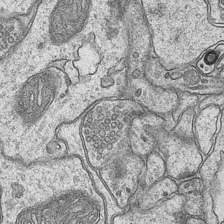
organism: Mouse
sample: CA1 Hippocampus